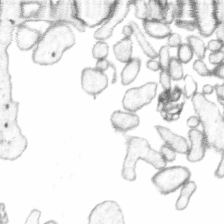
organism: Human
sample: HeLa cells